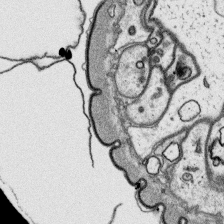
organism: Platynereis dumerilii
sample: Parapodia